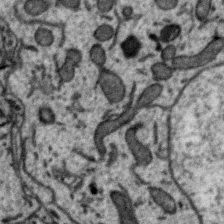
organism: Zebra finch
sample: Brain